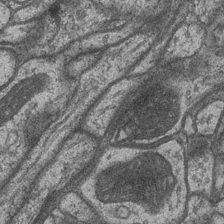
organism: Drosophila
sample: Optic medulla